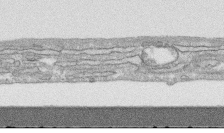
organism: Human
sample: CRL-1474